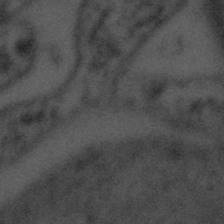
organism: Tuwongella immobilis